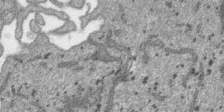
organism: Human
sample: Lung epithelial cells infected with SARS-CoV-2